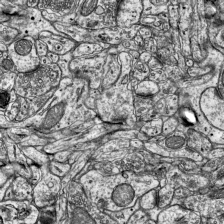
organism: Mouse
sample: Visual Cortex